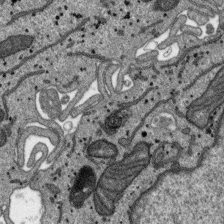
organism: Human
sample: Lung epithelial cells, uninfected (mock) control